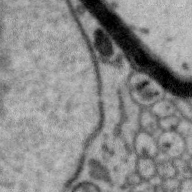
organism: Zebra finch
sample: Brain